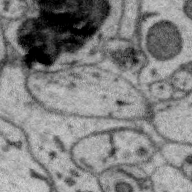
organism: Zebra finch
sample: Brain